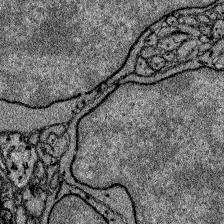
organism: Zebrafish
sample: Larval olfactory bulb